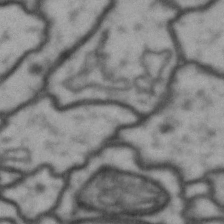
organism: Drosophila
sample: Brain